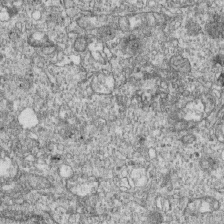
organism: Human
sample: HeLa cell HIV synapse